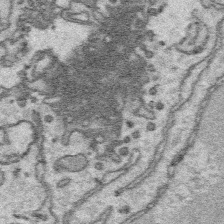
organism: Platynereis dumerilii